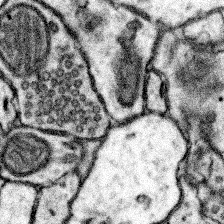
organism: Mouse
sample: Somatosensory cortex neuropil